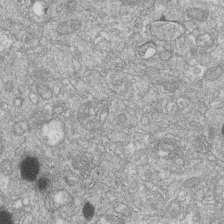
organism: Human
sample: HeLa cell HIV synapse